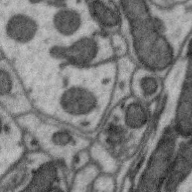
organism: Zebra finch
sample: Brain